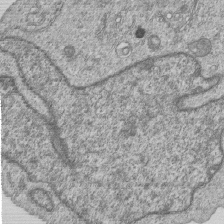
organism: Human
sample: MDA-MB-231 cells